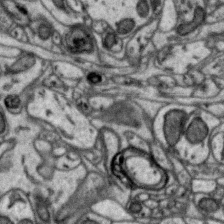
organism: Zebra finch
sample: Brain